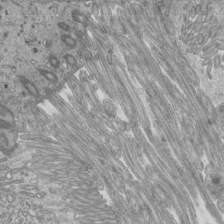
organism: Mouse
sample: Cilia; mouse epididymis